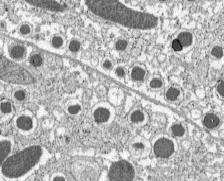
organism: C57BL Mouse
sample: Pancreatic islet